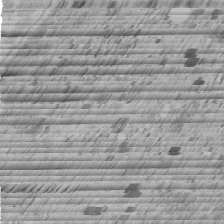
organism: C. elegans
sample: C. elegans embryo early stage